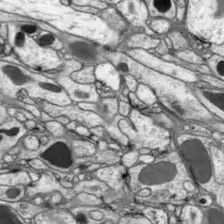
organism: Drosophila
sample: Optic lobe